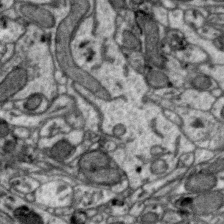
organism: Zebra finch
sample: Brain